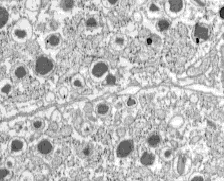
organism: C57BL Mouse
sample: Pancreatic islet